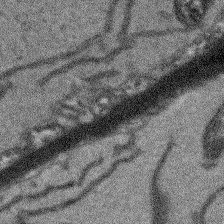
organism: Arabidopsis thaliana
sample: Root tip